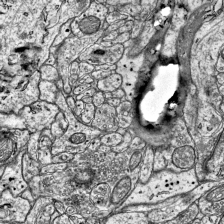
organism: Mouse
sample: Visual Cortex